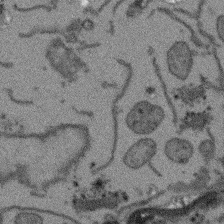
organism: Arabidopsis thaliana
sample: Root tip